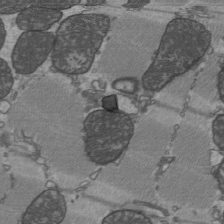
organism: C57BL Mouse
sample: Heart